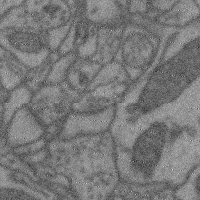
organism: Mouse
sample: Cerebral cortex